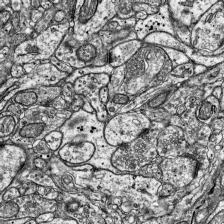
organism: Mouse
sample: Visual Cortex